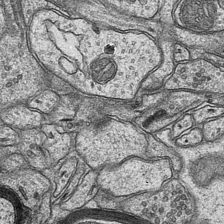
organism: Mouse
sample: CA1 Hippocampus